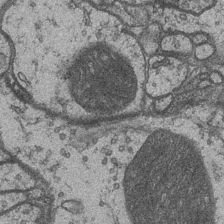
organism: Drosophila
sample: Optic medulla